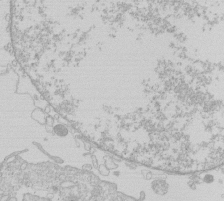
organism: Human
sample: Macrophage cells